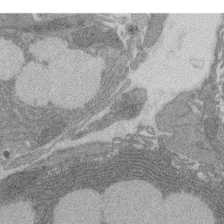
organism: Rat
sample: Salivary granule